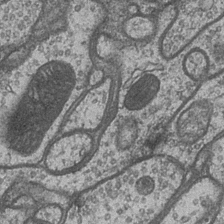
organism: Drosophila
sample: Optic medulla